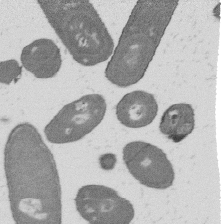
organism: B. subtilis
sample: Bacterial spore